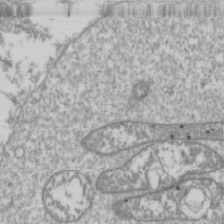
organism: Drosophila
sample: Cell division; meiosis; drosophila spermatocytes